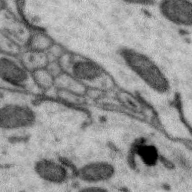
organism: Zebra finch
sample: Brain